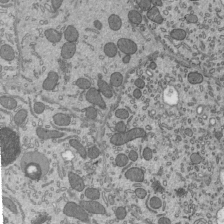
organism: Mouse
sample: Mouse epididymis efferent ductule cilia